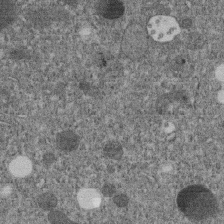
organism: C. elegans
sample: C. elegans embryo early stage